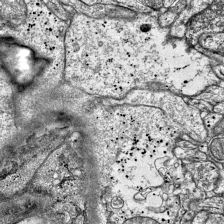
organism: Mouse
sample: Visual Cortex